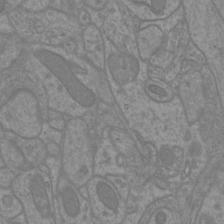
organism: Mouse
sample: Cortical neurons